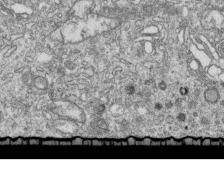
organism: Human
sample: HeLa cell HIV synapse